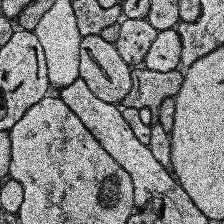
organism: Human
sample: Temporal Lobe